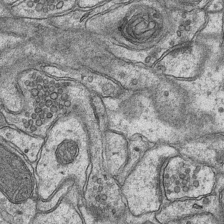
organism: Mouse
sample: CA1 Hippocampus